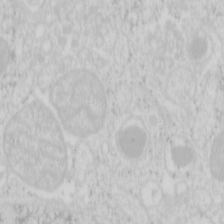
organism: Mouse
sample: Pancreas